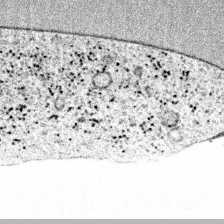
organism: Human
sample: HeLa cells